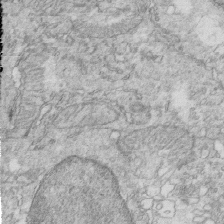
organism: Mouse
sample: Multiciliated cells